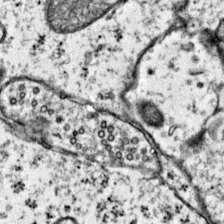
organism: Mouse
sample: Primary visual cortex